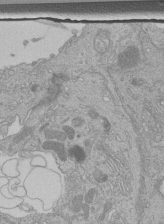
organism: Human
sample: Retinal organoid Rod and Cone cells